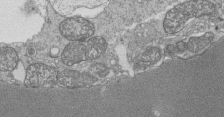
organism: Tetrahymena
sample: Cilia in tetrahymena